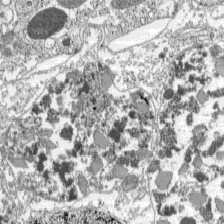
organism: C57BL Mouse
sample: Pancreatic islet